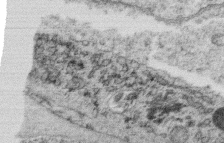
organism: C. elegans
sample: C. elegans oocyte; sperm cells